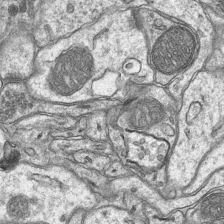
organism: Mouse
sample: CA1 Hippocampus